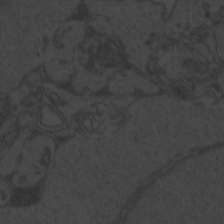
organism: Zebrafish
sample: Macrophage infected with Toxoplasma gondii